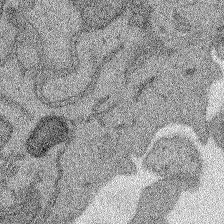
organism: Human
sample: HeLa cells